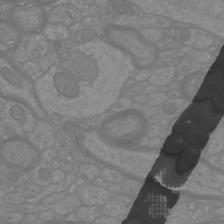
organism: Mouse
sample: Cortical neurons